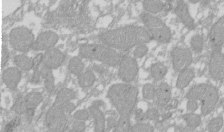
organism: Xenopus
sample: Cilia; centrioles in frog embryo cells